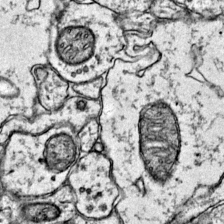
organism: Mouse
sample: Primary visual cortex